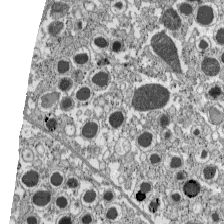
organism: C57BL Mouse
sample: Pancreatic islet